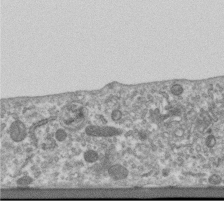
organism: Human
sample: Centriole in RPE cells